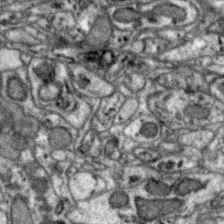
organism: Zebra finch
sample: Brain